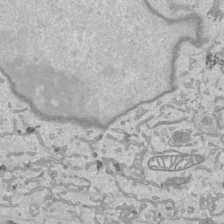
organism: Human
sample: Mitochondria in HCT116 cells